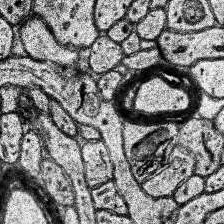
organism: Human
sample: Temporal Lobe